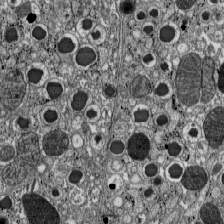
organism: C57BL Mouse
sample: Pancreatic islet